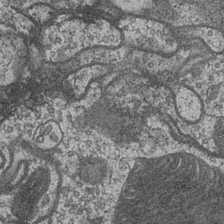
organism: Drosophila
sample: Optic medulla